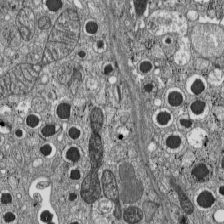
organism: C57BL Mouse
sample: Pancreatic islet